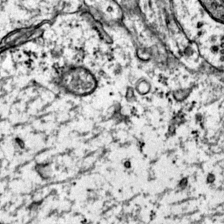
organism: Mouse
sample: Primary visual cortex